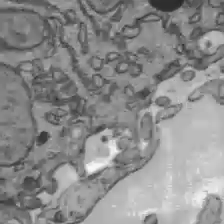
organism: C57BL Mouse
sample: Liver